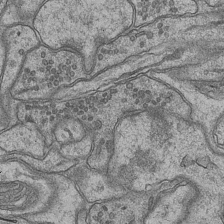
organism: Mouse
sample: CA1 Hippocampus